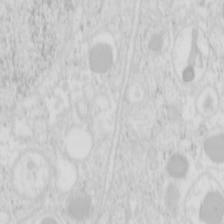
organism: Mouse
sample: Pancreas